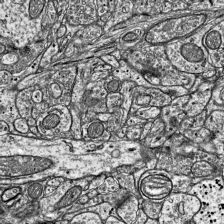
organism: Mouse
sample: Visual Cortex